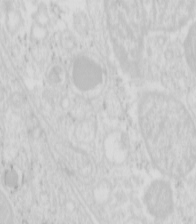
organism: Mouse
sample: Pancreas